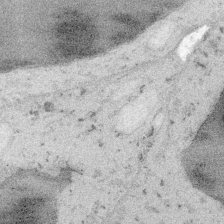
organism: Embia sp.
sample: Silk gland